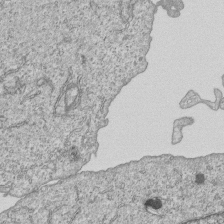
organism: Human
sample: MDA-MB-231 cells